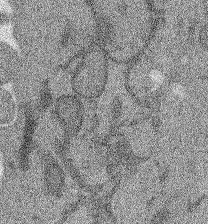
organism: Human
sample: HeLa cells